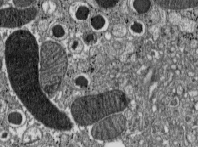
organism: C57BL Mouse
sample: Pancreatic islet